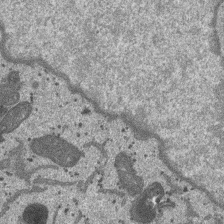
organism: Human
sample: Lung epithelial cells infected with SARS-CoV-2